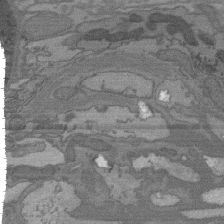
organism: C. elegans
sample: AFD neurons C. elegans